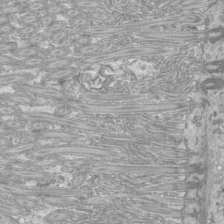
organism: Mouse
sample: Cilia; mouse epididymis